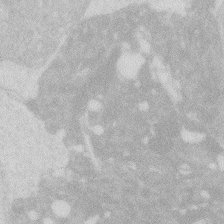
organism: Zebrafish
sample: Macrophage